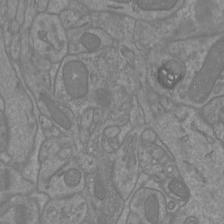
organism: Mouse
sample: Cortical neurons